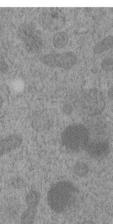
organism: C. elegans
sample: C. elegans embryo early stage